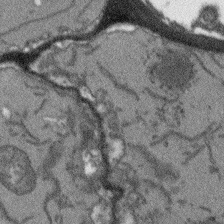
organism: Arabidopsis thaliana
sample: Root tip